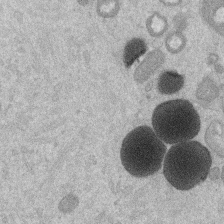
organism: Mouse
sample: Dividing mouse embryo 1 cell stage